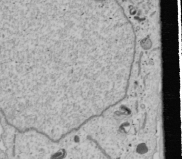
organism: Human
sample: Mitochondria in U2OS cells